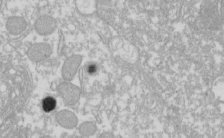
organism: Xenopus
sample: Cilia; centrioles in frog embryo cells